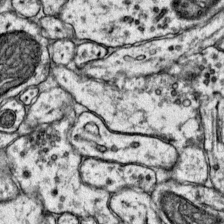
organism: Mouse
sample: Primary visual cortex